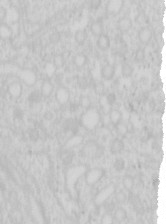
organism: Mouse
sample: Pancreas